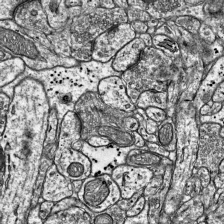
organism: Mouse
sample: Visual Cortex